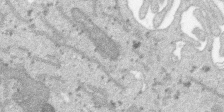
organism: Human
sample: Lung epithelial cells infected with SARS-CoV-2